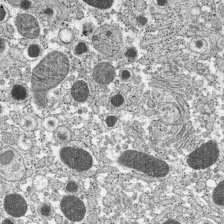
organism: C57BL Mouse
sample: Pancreatic islet